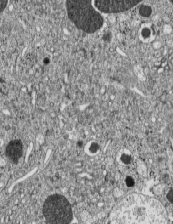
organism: C57BL Mouse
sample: Pancreatic islet